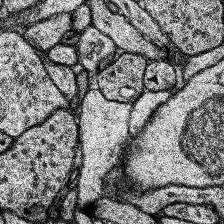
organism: Human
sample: Temporal Lobe